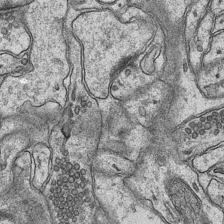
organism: Mouse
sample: CA1 Hippocampus